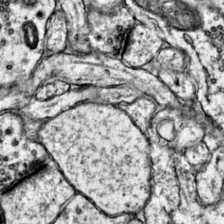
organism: Mouse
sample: Primary visual cortex